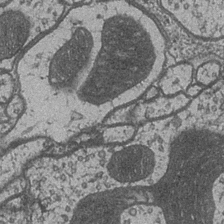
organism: Drosophila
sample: Optic medulla